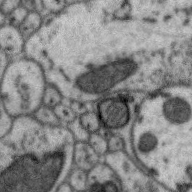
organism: Zebra finch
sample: Brain